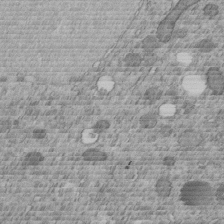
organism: C. elegans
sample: C. elegans embryo early stage